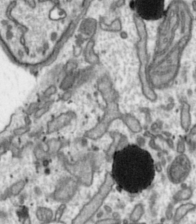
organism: Toxoplasma gondii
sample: Parasites in a vacuole inside a host cell